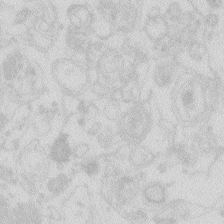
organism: Zebrafish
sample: Macrophage